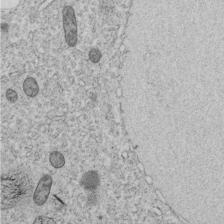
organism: C. elegans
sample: C. elegans embryo early stage